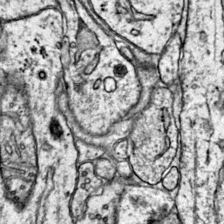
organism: Mouse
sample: Primary visual cortex